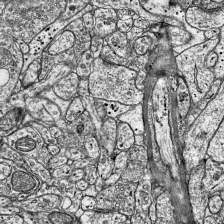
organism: Mouse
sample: Visual Cortex